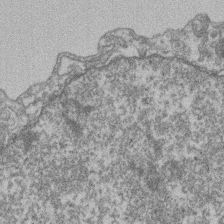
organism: Mouse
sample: T cell stromal cell synapse